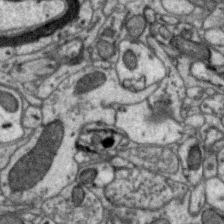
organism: Zebra finch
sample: Brain